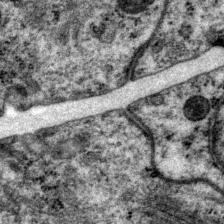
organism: P. pacificus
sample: Pharynx